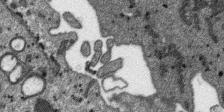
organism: Human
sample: Lung epithelial cells infected with SARS-CoV-2